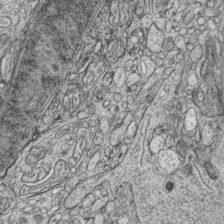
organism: Zebrafish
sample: synaptic ribbons in rod cells and cone cells